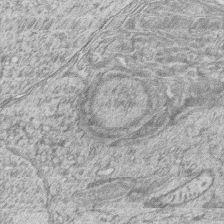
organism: Zebrafish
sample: synaptic ribbons in rod cells and cone cells